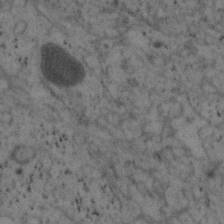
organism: Human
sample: HeLa cells